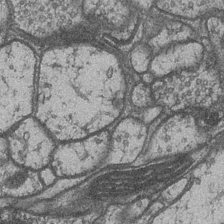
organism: Drosophila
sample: Optic medulla